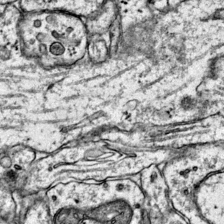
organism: Mouse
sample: Primary visual cortex